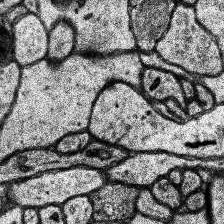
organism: Human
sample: Temporal Lobe